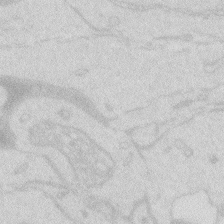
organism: Zebrafish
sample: Macrophage